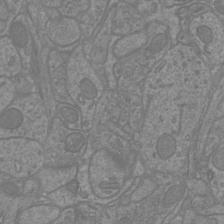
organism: Mouse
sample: Cortical neurons